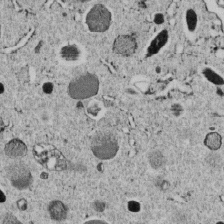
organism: C. elegans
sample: C. elegans embryo early stage